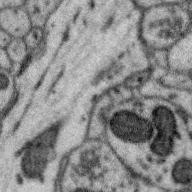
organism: Zebra finch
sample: Brain